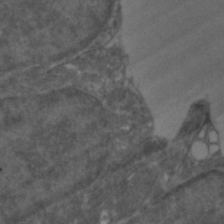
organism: Zebrafish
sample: Zebrafish embryo